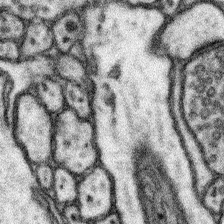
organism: Mouse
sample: Somatosensory cortex neuropil